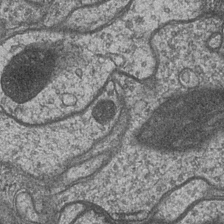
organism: Drosophila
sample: Optic medulla